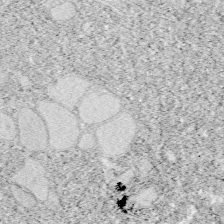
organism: Zebrafish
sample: Whole-Brain